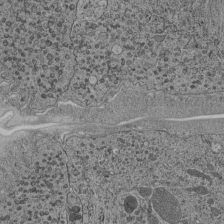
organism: C. elegans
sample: C. elegans pharynx